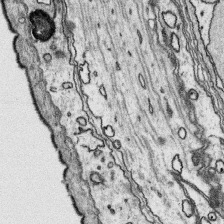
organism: Platynereis dumerilii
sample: Parapodia